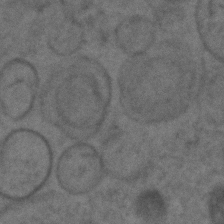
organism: C. elegans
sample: C. elegans embryo